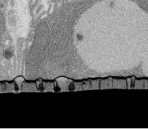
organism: Rat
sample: Salivary granule